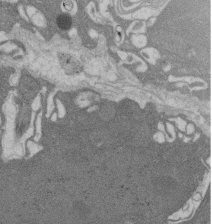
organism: Rat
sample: Salivary granule